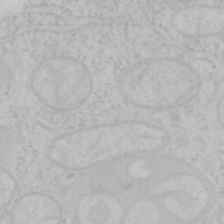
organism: Mouse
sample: OT-I killer T cells with ID8 ovarian cancer cells